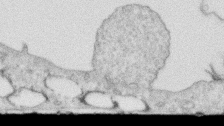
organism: Human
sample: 1205lu cells